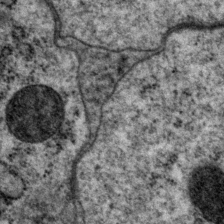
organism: P. pacificus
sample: Pharynx